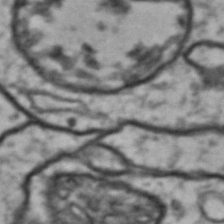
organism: Drosophila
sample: Brain